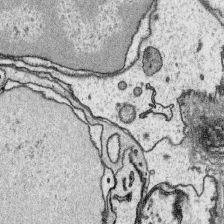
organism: Platynereis dumerilii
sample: Parapodia